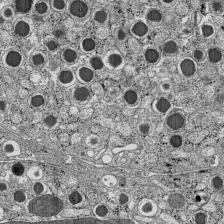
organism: C57BL Mouse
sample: Pancreatic islet